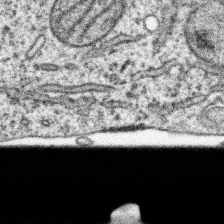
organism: Human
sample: HeLa cells